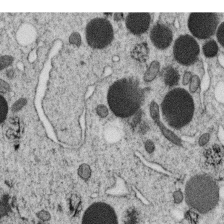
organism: C. elegans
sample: C. elegans oocyte; sperm cells